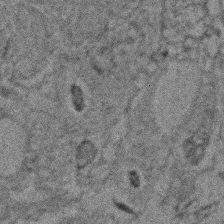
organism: Zebrafish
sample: Zebrafish embryo